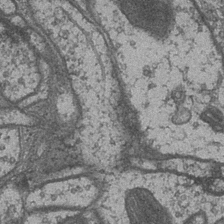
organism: Drosophila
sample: Optic medulla